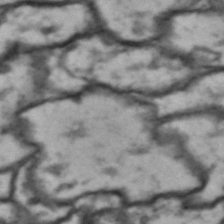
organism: Drosophila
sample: Brain